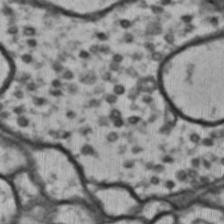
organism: Drosophila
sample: Brain